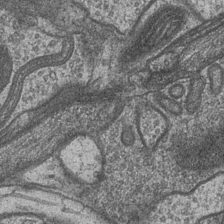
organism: Drosophila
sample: Optic medulla